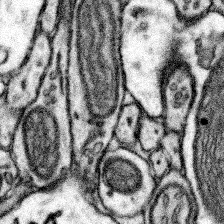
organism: Mouse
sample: Somatosensory cortex neuropil